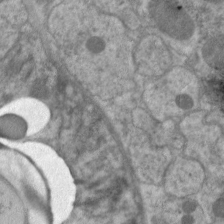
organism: C. elegans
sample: Pharynx